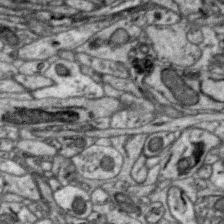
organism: Zebra finch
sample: Brain